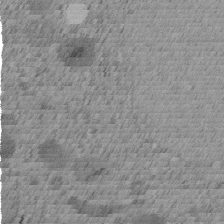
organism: C. elegans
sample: C. elegans embryo early stage